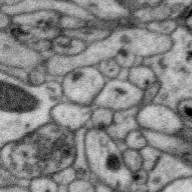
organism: Zebra finch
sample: Brain